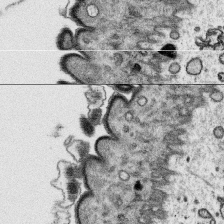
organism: Platynereis dumerilii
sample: Parapodia